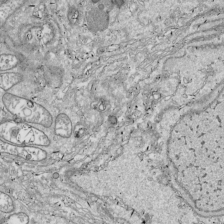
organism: Drosophila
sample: Cell division; meiosis; drosophila spermatocytes